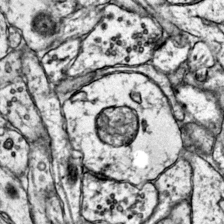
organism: Mouse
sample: Primary visual cortex